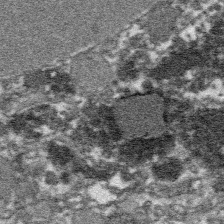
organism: Platynereis dumerilii